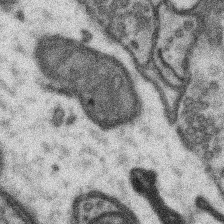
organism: Mouse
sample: Somatosensory cortex neuropil